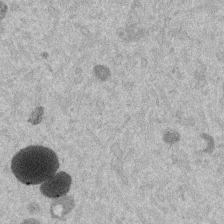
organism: Mouse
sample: Dividing mouse embryo 1 cell stage